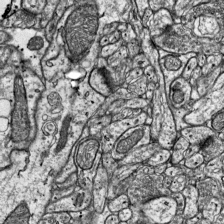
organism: Mouse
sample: Visual Cortex